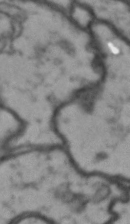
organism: Drosophila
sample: Brain